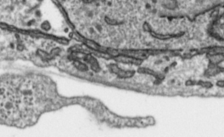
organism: Toxoplasma gondii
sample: Parasites in a vacuole inside a host cell